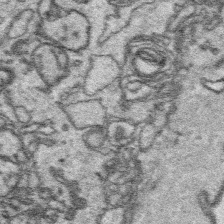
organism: Platynereis dumerilii